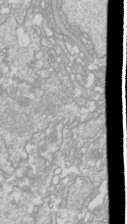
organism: Drosophila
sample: Cell division; meiosis; drosophila spermatocytes